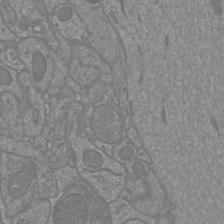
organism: Mouse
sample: Cortical neurons